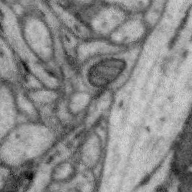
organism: Zebra finch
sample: Brain